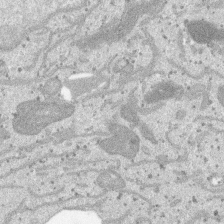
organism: Human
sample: Lung epithelial cells infected with SARS-CoV-2